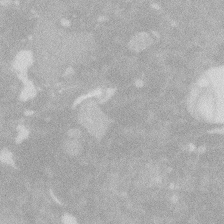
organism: Zebrafish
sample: Macrophage